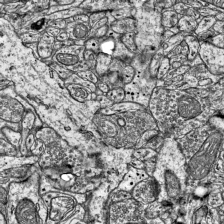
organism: Mouse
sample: Visual Cortex